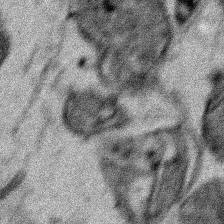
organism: Human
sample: Mitochondria in HCT116 cells